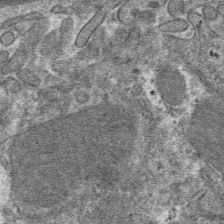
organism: Mouse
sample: Mouse hepatocytes